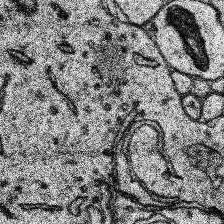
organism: Human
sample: Temporal Lobe